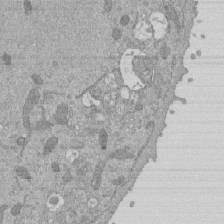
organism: Mouse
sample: ED-1 cell nuclei; centrioles